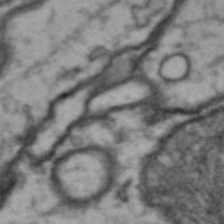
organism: Drosophila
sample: Brain